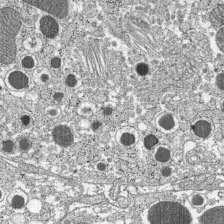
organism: C57BL Mouse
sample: Pancreatic islet